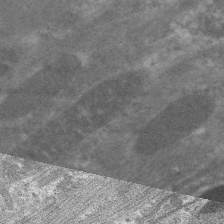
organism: C. elegans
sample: Pharynx